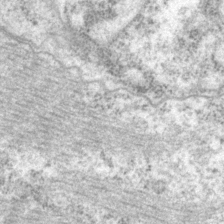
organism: P. pacificus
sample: Pharynx